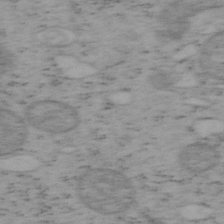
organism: Mouse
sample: OT-I killer T cells with ID8 ovarian cancer cells